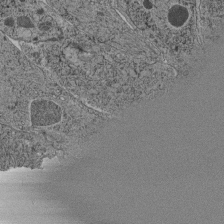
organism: C. elegans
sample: C. elegans pharynx